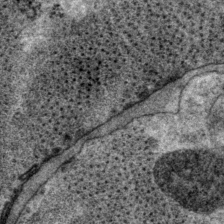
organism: P. pacificus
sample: Pharynx